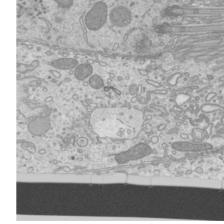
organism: Mouse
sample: Cilia; mouse epididymis